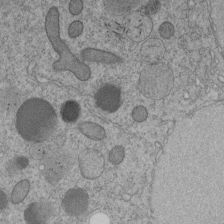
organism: C. elegans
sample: C. elegans embryo early stage